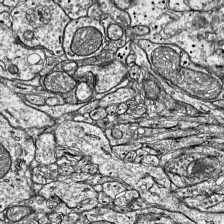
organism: Mouse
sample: Visual Cortex